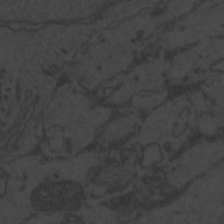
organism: Zebrafish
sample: Macrophage infected with Toxoplasma gondii